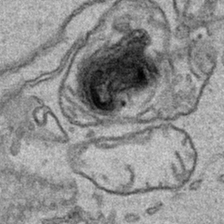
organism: Human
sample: Mitochondria in HCT116 cells